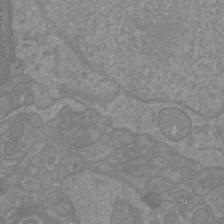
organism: Mouse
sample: Cortical neurons